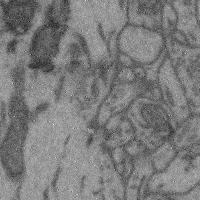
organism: Mouse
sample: Cerebral cortex